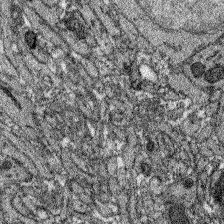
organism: Zebrafish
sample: Larval olfactory bulb